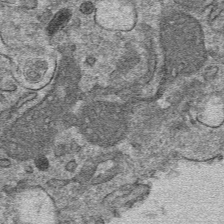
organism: Mouse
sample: Mouse hepatocytes